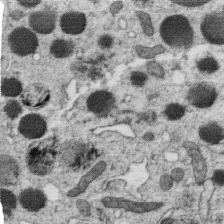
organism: C. elegans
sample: C. elegans oocyte; sperm cells